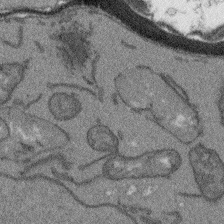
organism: Arabidopsis thaliana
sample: Root tip